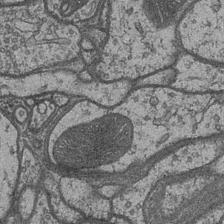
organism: Drosophila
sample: Optic medulla